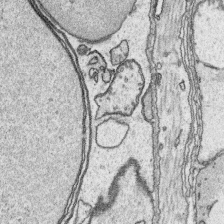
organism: Platynereis dumerilii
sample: Parapodia